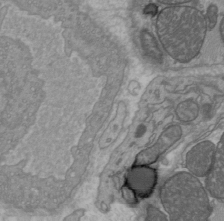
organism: C57BL Mouse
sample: Heart